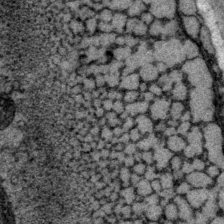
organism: P. pacificus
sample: Pharynx